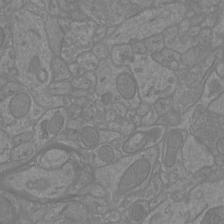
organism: Mouse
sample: Cortical neurons